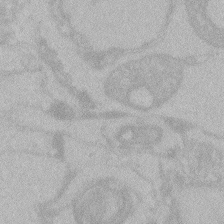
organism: Zebrafish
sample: Macrophage infected with Toxoplasma gondii